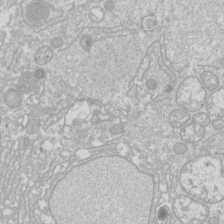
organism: Drosophila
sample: Cell division; meiosis; drosophila spermatocytes